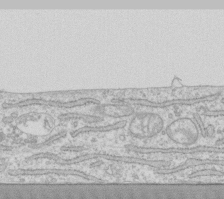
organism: Human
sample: Fibroblast cells